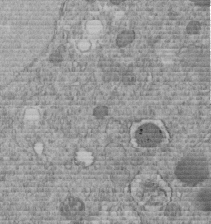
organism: C. elegans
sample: C. elegans embryo early stage